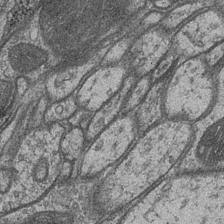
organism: Drosophila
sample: Optic medulla